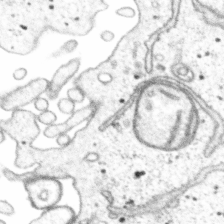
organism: Human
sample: HeLa cells